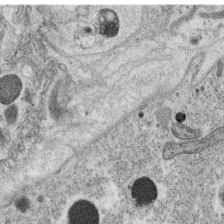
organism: C. elegans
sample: C. elegans oocyte; sperm cells